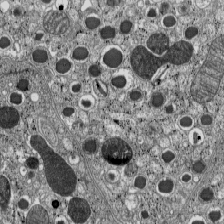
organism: C57BL Mouse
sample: Pancreatic islet